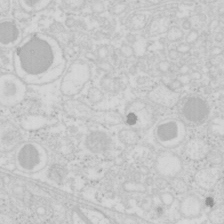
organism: Mouse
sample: Pancreas